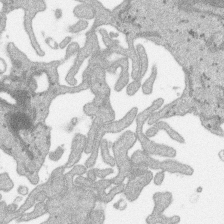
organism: Human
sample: Lung epithelial cells infected with SARS-CoV-2